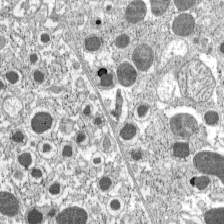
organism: C57BL Mouse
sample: Pancreatic islet